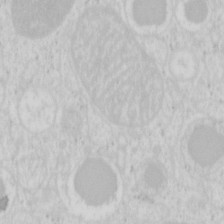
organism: Mouse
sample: Pancreas